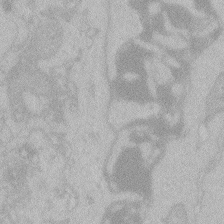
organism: Zebrafish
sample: Macrophage infected with Toxoplasma gondii